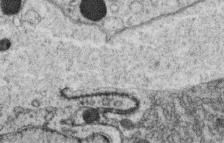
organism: C. elegans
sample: C. elegans oocyte; sperm cells